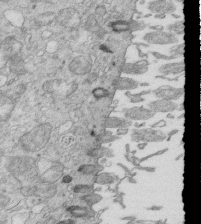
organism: Mouse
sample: Multiciliated cells